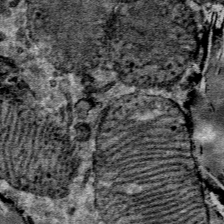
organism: Mouse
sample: Mouse Salivary gland